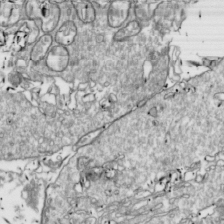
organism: Drosophila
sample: Cell division; meiosis; drosophila spermatocytes